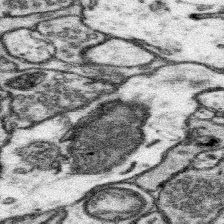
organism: Mouse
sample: Somatosensory cortex neuropil